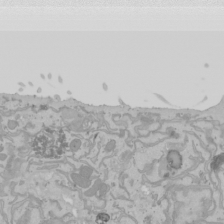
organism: Mouse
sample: Cancer cell death in ED-1 cells